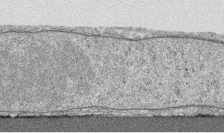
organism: Human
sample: CRL-1474